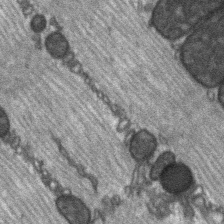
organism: C57BL Mouse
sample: Soleus